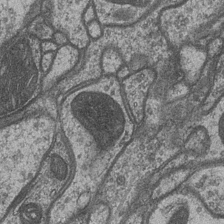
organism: Drosophila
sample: Optic medulla